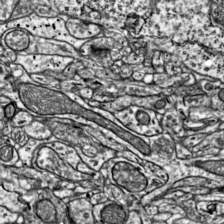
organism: Mouse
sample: Visual Cortex